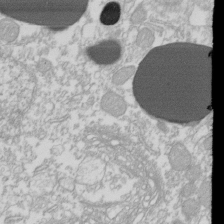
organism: Xenopus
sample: Cilia; centrioles in frog embryo cells